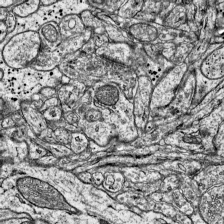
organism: Mouse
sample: Visual Cortex